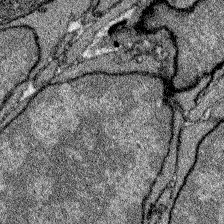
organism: Zebrafish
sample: Larval olfactory bulb